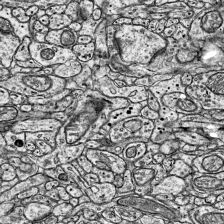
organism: Mouse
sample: Visual Cortex